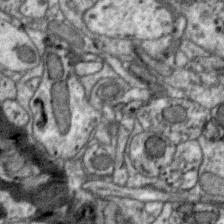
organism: Zebra finch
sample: Brain